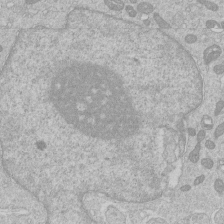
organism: Human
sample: Macrophage cells